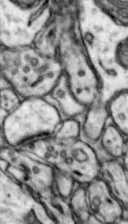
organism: Mouse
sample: Nucleus accumbens